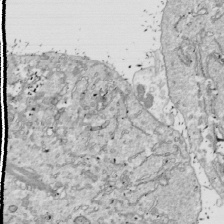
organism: Drosophila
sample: Cell division; meiosis; drosophila spermatocytes